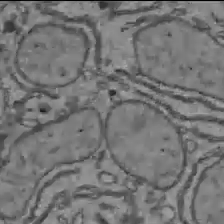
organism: C57BL Mouse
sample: Liver